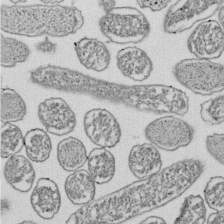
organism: E. coli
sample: Bacterial nucleoid